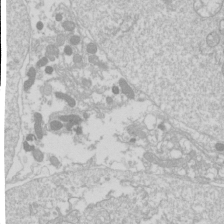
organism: Drosophila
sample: Cell division; meiosis; drosophila spermatocytes